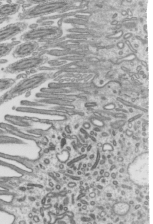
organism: Mouse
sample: Mouse epididymis efferent ductule cilia